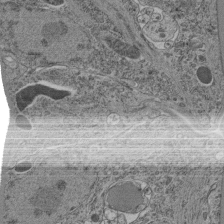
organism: C. elegans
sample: C. elegans pharynx